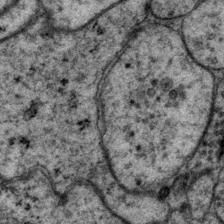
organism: P. pacificus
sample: Pharynx